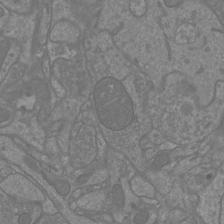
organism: Mouse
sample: Cortical neurons